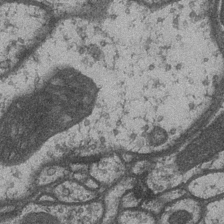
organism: Drosophila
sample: Optic medulla